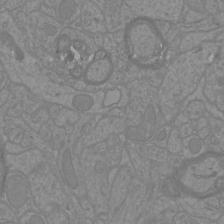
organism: Mouse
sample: Cortical neurons